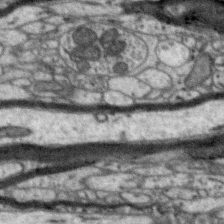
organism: Zebra finch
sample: Brain